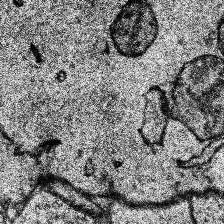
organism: Human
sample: Temporal Lobe